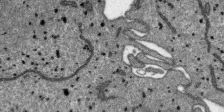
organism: Human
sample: Lung epithelial cells, uninfected (mock) control